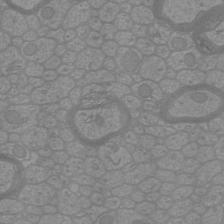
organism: Mouse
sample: Cortical neurons